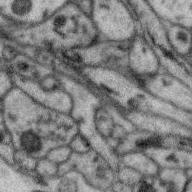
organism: Zebra finch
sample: Brain